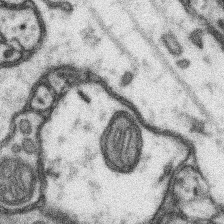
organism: Mouse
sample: Somatosensory cortex neuropil